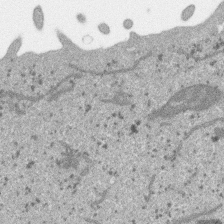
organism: Human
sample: Lung epithelial cells infected with SARS-CoV-2